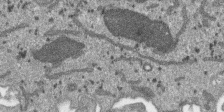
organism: Human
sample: Lung epithelial cells infected with SARS-CoV-2